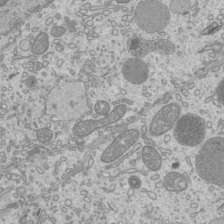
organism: Mouse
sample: Cilia; mouse epididymis